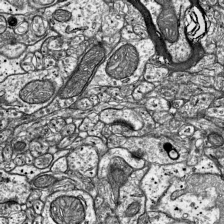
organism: Mouse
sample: Visual Cortex